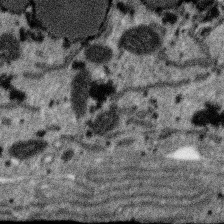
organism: Human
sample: Lung epithelial cells infected with SARS-CoV-2